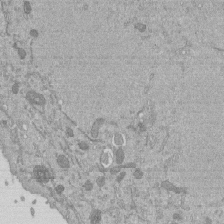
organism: Mouse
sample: ED-1 cell nuclei; centrioles